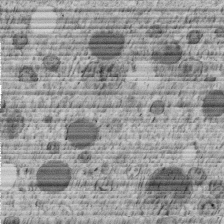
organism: C. elegans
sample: C. elegans embryo early stage